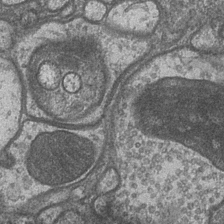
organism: Drosophila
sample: Optic medulla